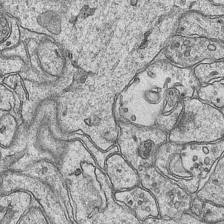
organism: Mouse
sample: CA1 Hippocampus